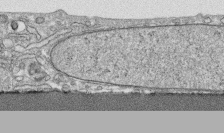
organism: Human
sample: CRL-1474